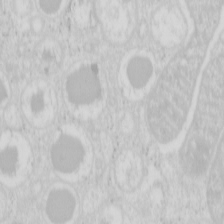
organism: Mouse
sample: Pancreas